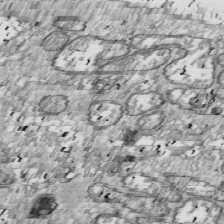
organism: Drosophila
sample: Cell division; meiosis; drosophila spermatocytes